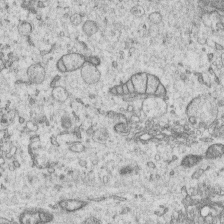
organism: Human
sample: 1205lu cells